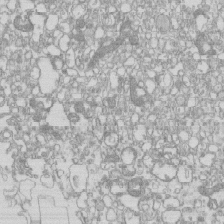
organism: Mouse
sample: Macrophages